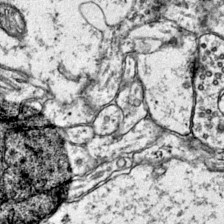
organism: Mouse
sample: Primary visual cortex